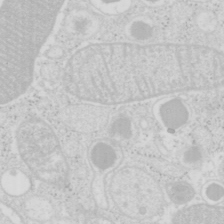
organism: Mouse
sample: Pancreas